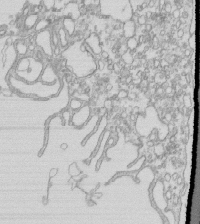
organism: Mouse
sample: Macrophages